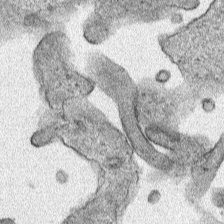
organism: Human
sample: Mitochondria in HCT116 cells